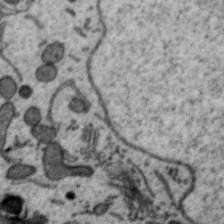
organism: Zebra finch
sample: Brain